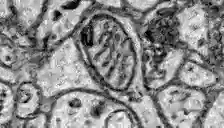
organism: Zebrafish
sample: Brain